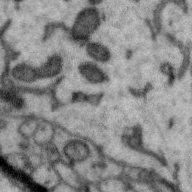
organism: Zebra finch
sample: Brain